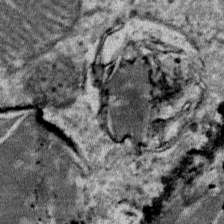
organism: Mouse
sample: Mouse Salivary gland